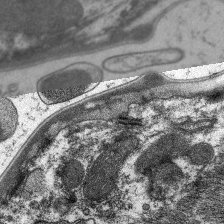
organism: C. elegans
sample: Pharynx